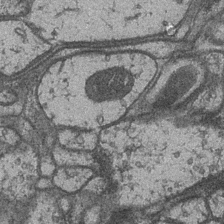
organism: Drosophila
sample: Optic medulla